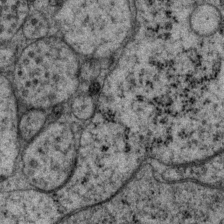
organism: P. pacificus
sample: Pharynx